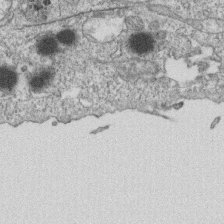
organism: Human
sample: HeLa cell HIV synapse